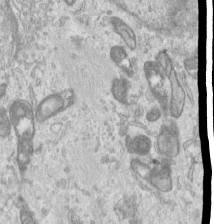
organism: Human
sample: Centriole in RPE cells